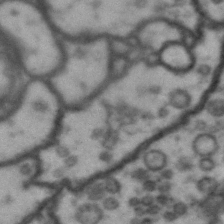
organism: Drosophila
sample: Brain